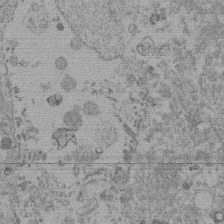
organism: Mouse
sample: Dividing mouse embryo 1 cell stage